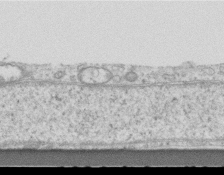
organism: Mouse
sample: Centriole in ependymal cells